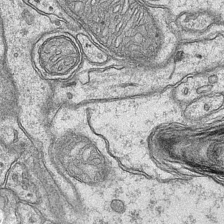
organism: Mouse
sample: CA1 Hippocampus